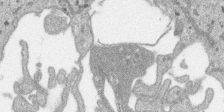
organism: Human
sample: Lung epithelial cells infected with SARS-CoV-2